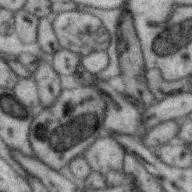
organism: Zebra finch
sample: Brain